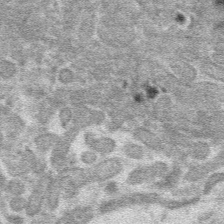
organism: Mouse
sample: Mouse hepatocytes